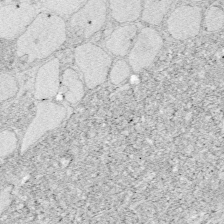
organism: Zebrafish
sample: Whole-Brain